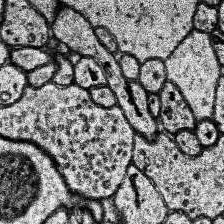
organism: Human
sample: Temporal Lobe